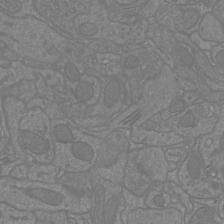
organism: Mouse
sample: Cortical neurons